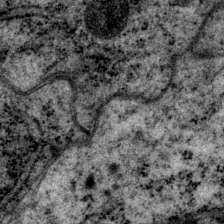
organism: P. pacificus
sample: Pharynx